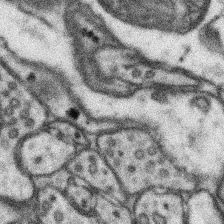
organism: Mouse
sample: Somatosensory cortex neuropil